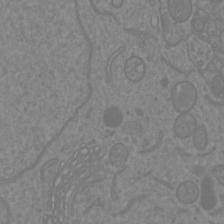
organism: Mouse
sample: Cortical neurons